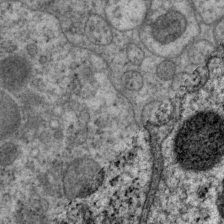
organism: P. pacificus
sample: Pharynx